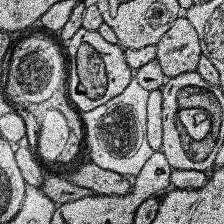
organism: Human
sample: Temporal Lobe